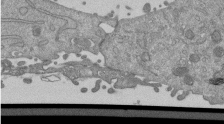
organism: Mouse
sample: ED-1 cell nuclei; centrioles